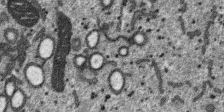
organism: Human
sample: Lung epithelial cells infected with SARS-CoV-2